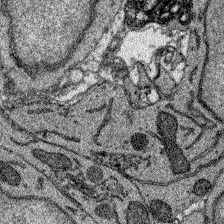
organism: Zebrafish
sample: Larval olfactory bulb